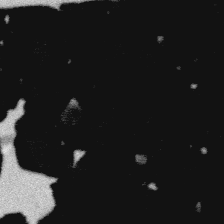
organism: Platynereis dumerilii